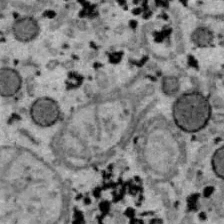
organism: Mouse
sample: Liver from an obese (ob/ob) mouse